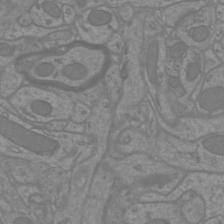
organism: Mouse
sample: Cortical neurons